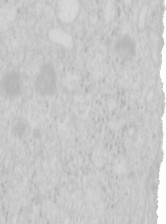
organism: Mouse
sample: Pancreas